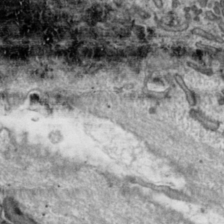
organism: Toxoplasma gondii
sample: Parasites in a vacuole inside a host cell